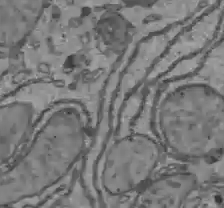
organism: C57BL Mouse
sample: Liver